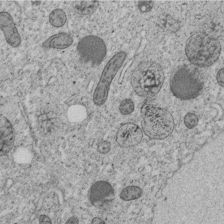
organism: C. elegans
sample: C. elegans embryo early stage